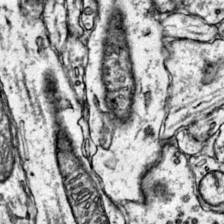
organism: Mouse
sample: Primary visual cortex